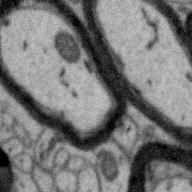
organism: Zebra finch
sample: Brain